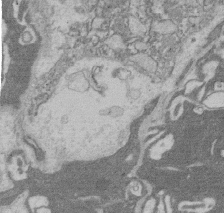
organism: Rat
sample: Salivary granule